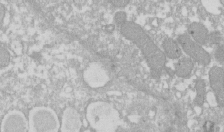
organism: Xenopus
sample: Cilia; centrioles in frog embryo cells